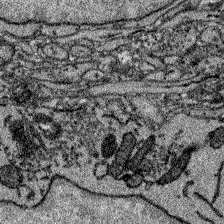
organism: Zebrafish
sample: Larval olfactory bulb